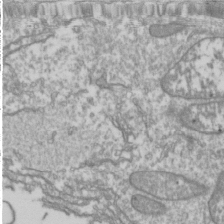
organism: Drosophila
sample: Cell division; meiosis; drosophila spermatocytes